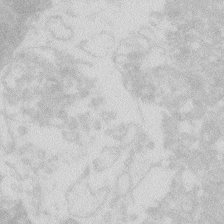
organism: Zebrafish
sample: Macrophage